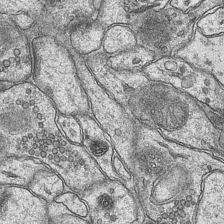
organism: Mouse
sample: CA1 Hippocampus